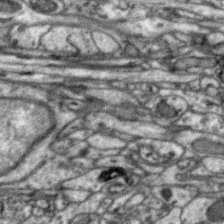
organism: Zebra finch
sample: Brain